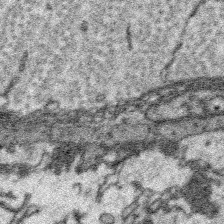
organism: Platynereis dumerilii